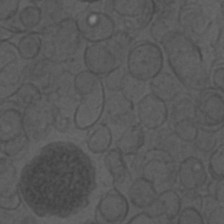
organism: C. elegans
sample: C. elegans embryo